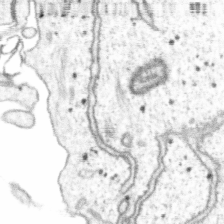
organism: Human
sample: HeLa cells